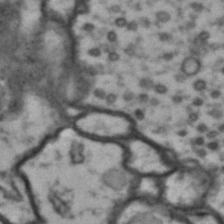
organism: Drosophila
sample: Brain